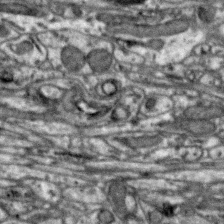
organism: Zebra finch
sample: Brain